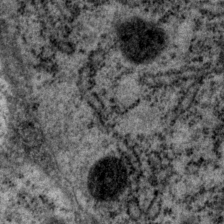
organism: P. pacificus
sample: Pharynx